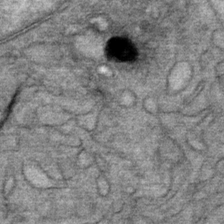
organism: Mouse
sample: Mouse Salivary gland